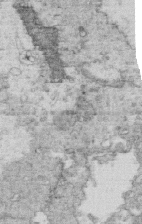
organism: Mouse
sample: Multiciliated cells